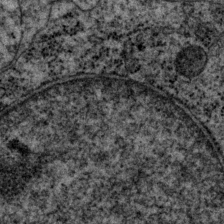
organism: P. pacificus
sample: Pharynx